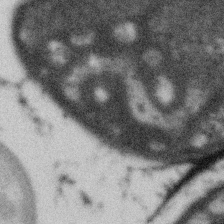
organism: Gemmata obscuriglobus